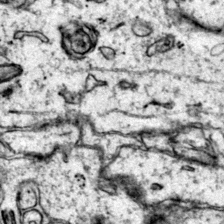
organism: Mouse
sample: Primary visual cortex